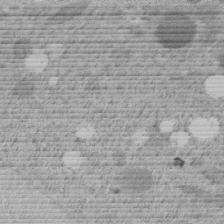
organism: C. elegans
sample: C. elegans embryo early stage